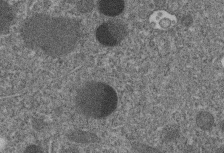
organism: C. elegans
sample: C. elegans embryo early stage